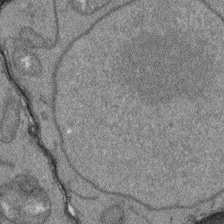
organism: Arabidopsis thaliana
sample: Root tip